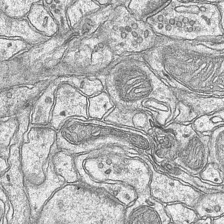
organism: Mouse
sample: CA1 Hippocampus